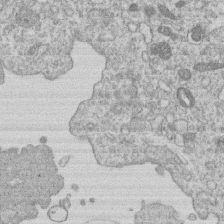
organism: Human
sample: Macrophage cells